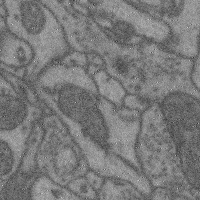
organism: Mouse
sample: Cerebral cortex